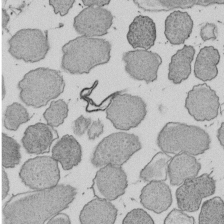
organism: E. coli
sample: Bacterial nucleoid